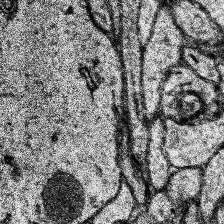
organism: Human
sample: Temporal Lobe